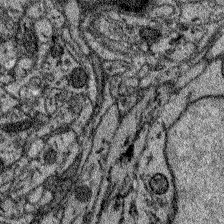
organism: Zebrafish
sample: Larval olfactory bulb